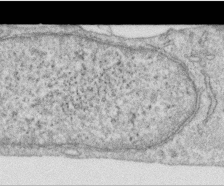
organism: Human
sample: Centriole in RPE cells